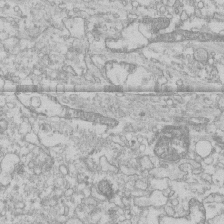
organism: Human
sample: CRL-1474